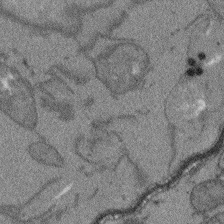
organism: Arabidopsis thaliana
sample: Root tip